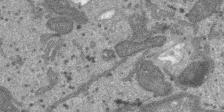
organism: Human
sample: Lung epithelial cells infected with SARS-CoV-2